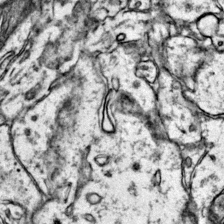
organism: Mouse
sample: Primary visual cortex